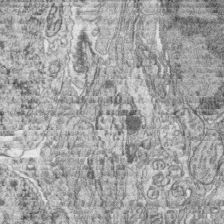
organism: Zebrafish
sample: synaptic ribbons in rod cells and cone cells